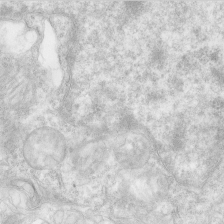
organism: Human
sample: Neocortex